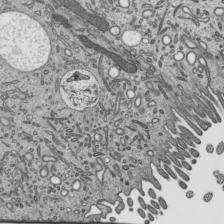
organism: Mouse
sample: Mouse epididymis efferent ductule cilia